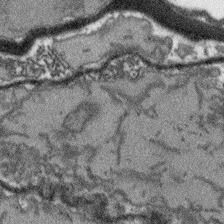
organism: Arabidopsis thaliana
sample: Root tip